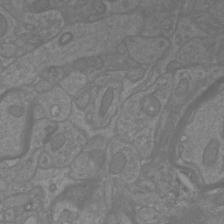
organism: Mouse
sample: Cortical neurons